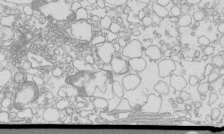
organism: Mouse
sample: Macrophages